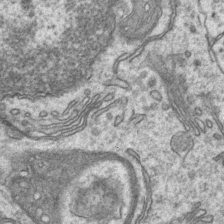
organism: Mouse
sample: CA1 Hippocampus